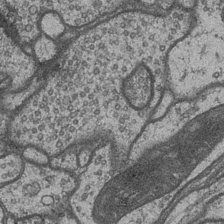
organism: Drosophila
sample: Optic medulla